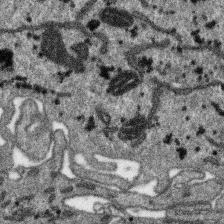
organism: Human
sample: Lung epithelial cells infected with SARS-CoV-2